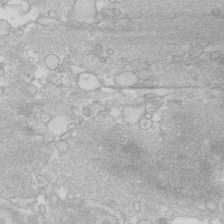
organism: Human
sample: Fibroblast cells